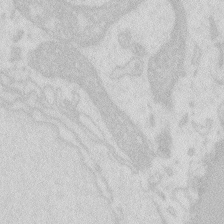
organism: Zebrafish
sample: Macrophage